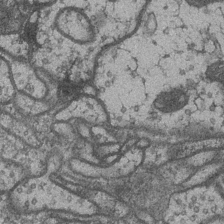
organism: Drosophila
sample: Optic medulla